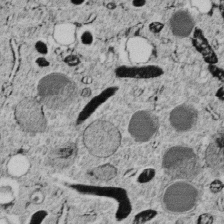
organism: C. elegans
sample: C. elegans embryo early stage